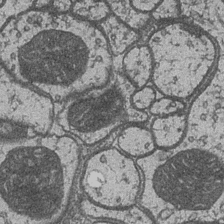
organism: Drosophila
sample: Optic medulla